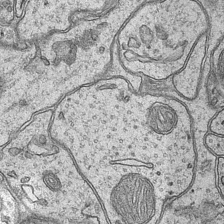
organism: Mouse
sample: CA1 Hippocampus